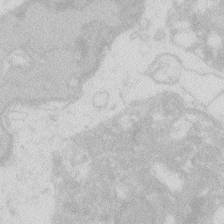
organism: Zebrafish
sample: Macrophage